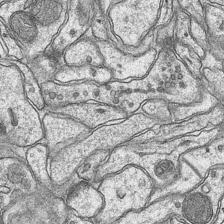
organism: Mouse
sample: CA1 Hippocampus